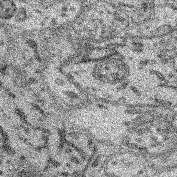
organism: Mouse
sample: Retina